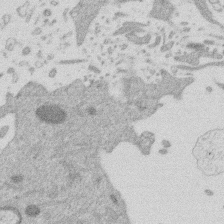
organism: Mouse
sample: Dividing mouse embryo 1 cell stage